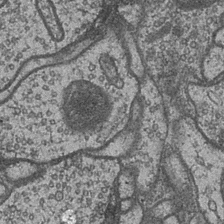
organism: Drosophila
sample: Optic medulla